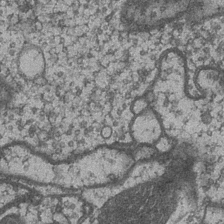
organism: Drosophila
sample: Optic medulla